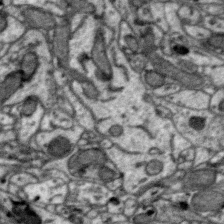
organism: Zebra finch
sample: Brain